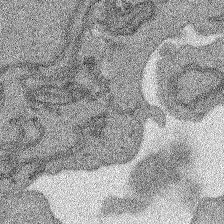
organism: Human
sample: HeLa cells